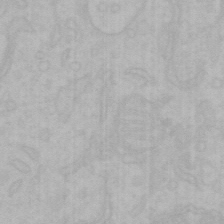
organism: Mouse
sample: Choroid plexus